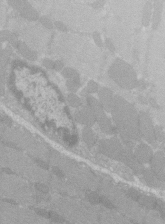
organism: C57BL Mouse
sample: Tibialis anterior muscle cell